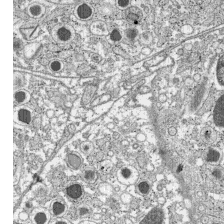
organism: C57BL Mouse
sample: Pancreatic islet